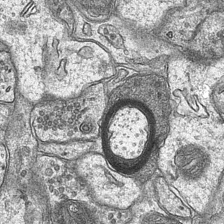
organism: Mouse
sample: CA1 Hippocampus